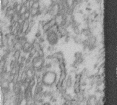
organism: Human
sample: Centriole in fibroblast cells